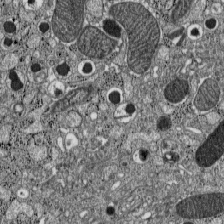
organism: C57BL Mouse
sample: Pancreatic islet